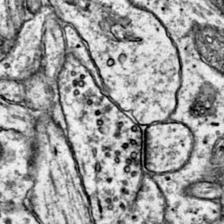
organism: Mouse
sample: Primary visual cortex